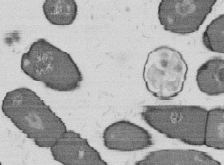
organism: B. subtilis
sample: Bacterial spore